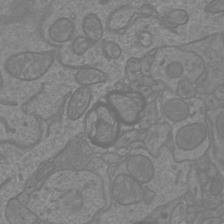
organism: Mouse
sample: Cortical neurons